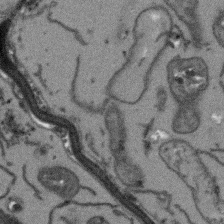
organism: Arabidopsis thaliana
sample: Root tip